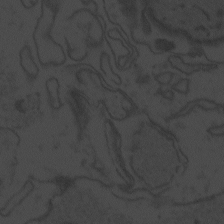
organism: Zebrafish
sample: Macrophage infected with Toxoplasma gondii